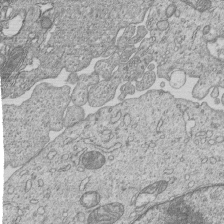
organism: Human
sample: MDA-MB-231 cells